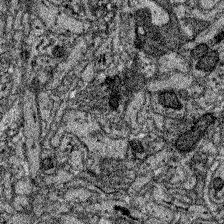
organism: Zebrafish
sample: Larval olfactory bulb